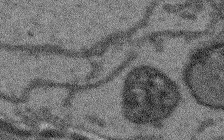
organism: Arabidopsis thaliana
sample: Root tip